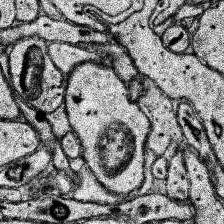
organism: Human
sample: Temporal Lobe